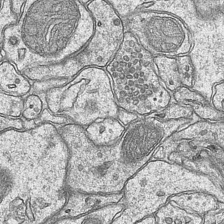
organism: Mouse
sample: CA1 Hippocampus